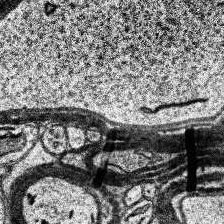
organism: Human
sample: Temporal Lobe